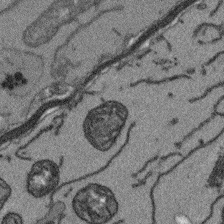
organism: Arabidopsis thaliana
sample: Root tip